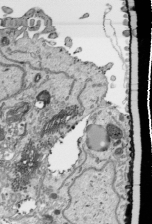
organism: Human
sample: Mitochondria in HCT116 cells